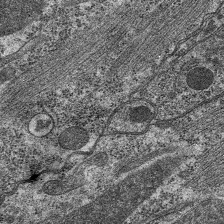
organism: C. elegans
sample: Pharynx